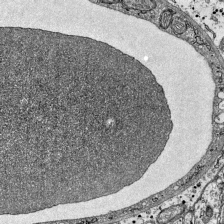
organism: Mouse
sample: Visual Cortex